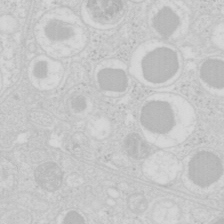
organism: Mouse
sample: Pancreas